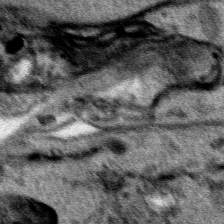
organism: Human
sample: Mitochondria in HCT116 cells